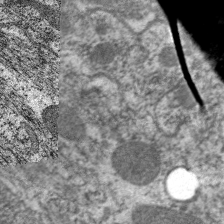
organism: C. elegans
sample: Pharynx